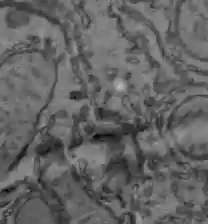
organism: C57BL Mouse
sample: Liver